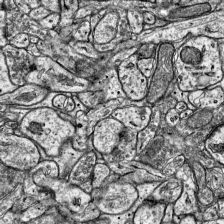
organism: Mouse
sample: Visual Cortex